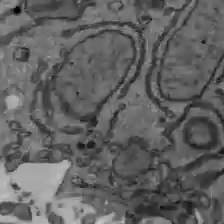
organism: C57BL Mouse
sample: Liver